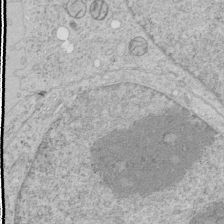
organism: Human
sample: Mitochondria in HCT116 cells